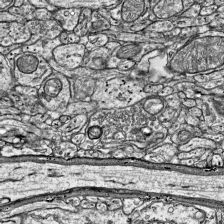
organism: Mouse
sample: Visual Cortex